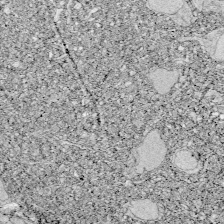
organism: Zebrafish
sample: Whole-Brain